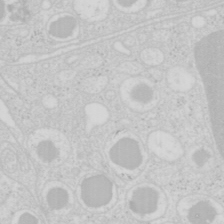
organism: Mouse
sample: Pancreas